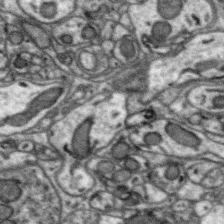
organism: Zebra finch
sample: Brain